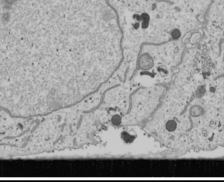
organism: Human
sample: Mitochondria in U2OS cells